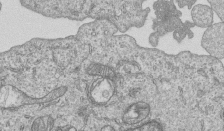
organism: Human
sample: MDA-MB-231 cells